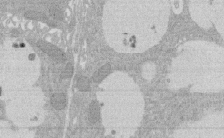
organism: Rat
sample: Salivary granule